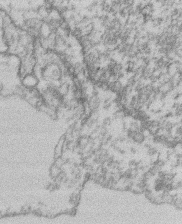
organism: Mouse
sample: T cell stromal cell synapse